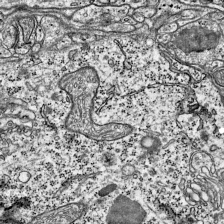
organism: Mouse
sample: Visual Cortex